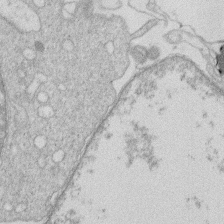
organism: Human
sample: Macrophage cells